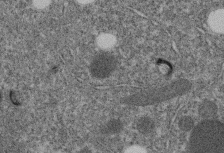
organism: C. elegans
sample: C. elegans embryo early stage